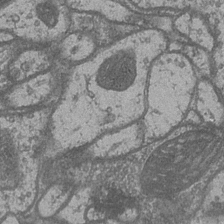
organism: Drosophila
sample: Optic medulla